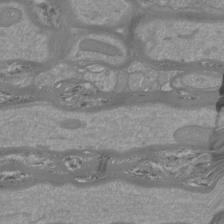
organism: Mouse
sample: Cortical neurons